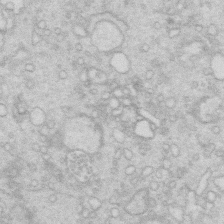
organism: Mouse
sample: Multiciliated cells